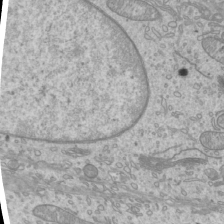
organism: Mouse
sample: Cilia; mouse epididymis